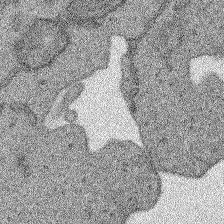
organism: Human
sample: HeLa cells